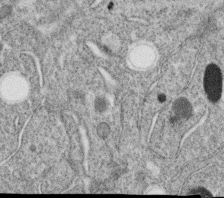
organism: C. elegans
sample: C. elegans oocyte; sperm cells